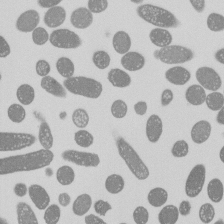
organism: E. coli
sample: Bacterial nucleoid